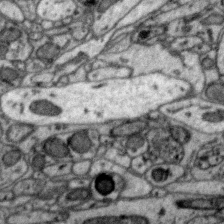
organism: Zebra finch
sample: Brain